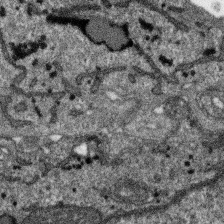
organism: Human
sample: Lung epithelial cells infected with SARS-CoV-2